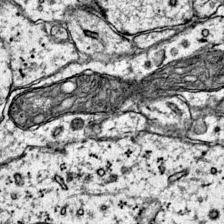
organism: Mouse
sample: Primary visual cortex